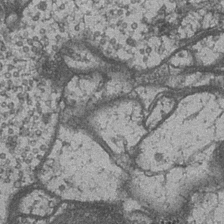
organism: Drosophila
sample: Optic medulla